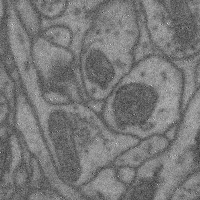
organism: Mouse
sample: Cerebral cortex